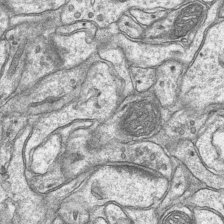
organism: Mouse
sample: CA1 Hippocampus